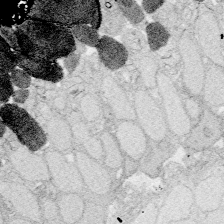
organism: Zebrafish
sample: Whole-Brain